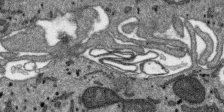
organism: Human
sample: Lung epithelial cells, uninfected (mock) control